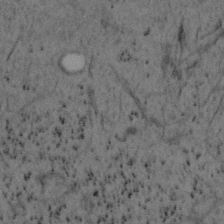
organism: Human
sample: HeLa cells